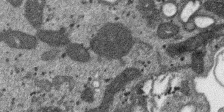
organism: Human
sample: Lung epithelial cells infected with SARS-CoV-2